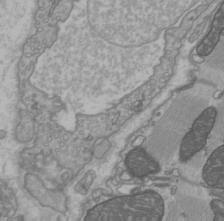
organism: C57BL Mouse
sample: Heart